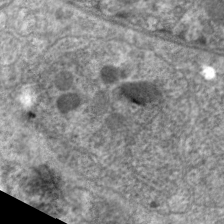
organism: C. elegans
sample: Pharynx